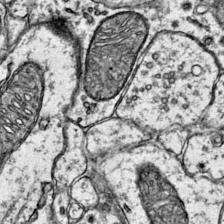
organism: Mouse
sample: Primary visual cortex